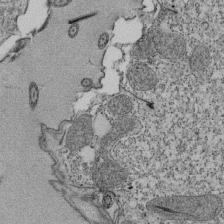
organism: Tetrahymena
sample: Cilia in tetrahymena